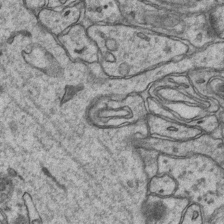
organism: Mouse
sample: CA1 Hippocampus